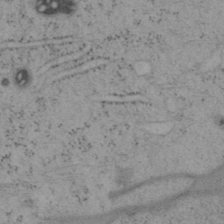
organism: Mouse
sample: OT-I killer T cells with ID8 ovarian cancer cells